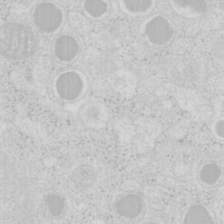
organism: Mouse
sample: Pancreas